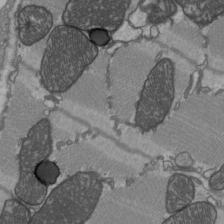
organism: C57BL Mouse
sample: Heart